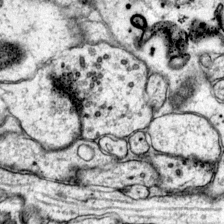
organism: Mouse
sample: Primary visual cortex